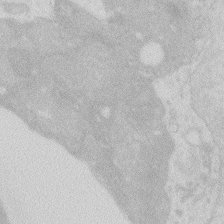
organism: Zebrafish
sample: Macrophage